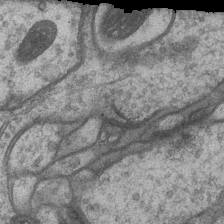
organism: Drosophila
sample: Optic medulla